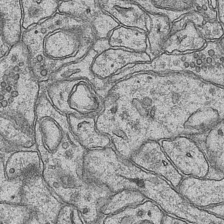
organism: Mouse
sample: CA1 Hippocampus